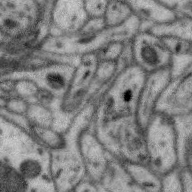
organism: Zebra finch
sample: Brain